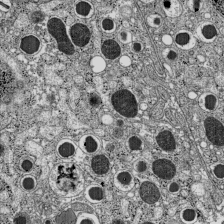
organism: C57BL Mouse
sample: Pancreatic islet